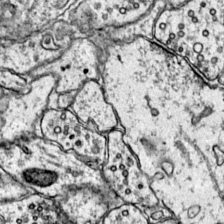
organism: Mouse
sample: Primary visual cortex